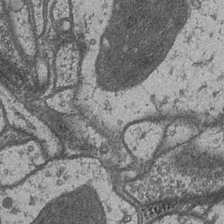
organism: Drosophila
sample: Optic medulla